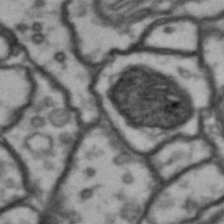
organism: Drosophila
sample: Brain